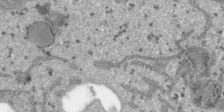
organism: Human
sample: Lung epithelial cells infected with SARS-CoV-2